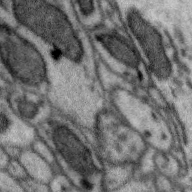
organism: Zebra finch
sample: Brain